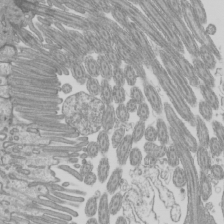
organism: Mouse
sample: Cilia; mouse epididymis